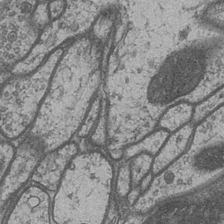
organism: Drosophila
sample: Optic medulla